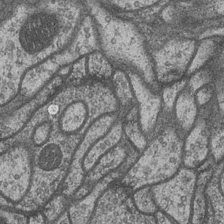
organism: Drosophila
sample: Optic medulla